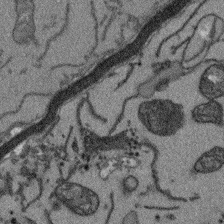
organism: Arabidopsis thaliana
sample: Root tip